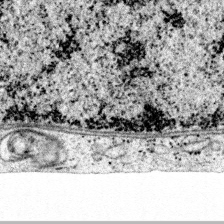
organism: Human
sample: HeLa cells